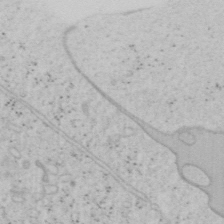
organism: Human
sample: HeLa cells